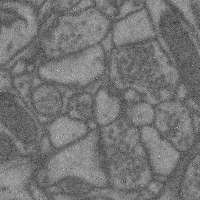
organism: Mouse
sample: Cerebral cortex